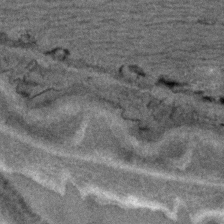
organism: C. elegans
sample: C. elegans embryo